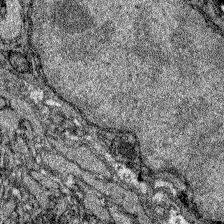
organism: Zebrafish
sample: Larval olfactory bulb